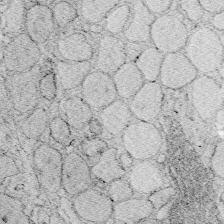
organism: Zebrafish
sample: Whole-Brain